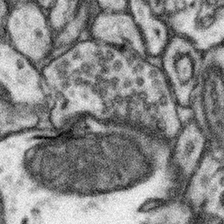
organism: Mouse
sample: Somatosensory cortex neuropil